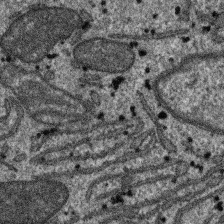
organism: Human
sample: Lung epithelial cells infected with SARS-CoV-2